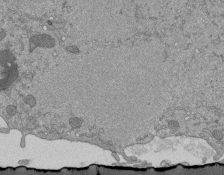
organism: Mouse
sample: ED-1 cell nuclei; centrioles